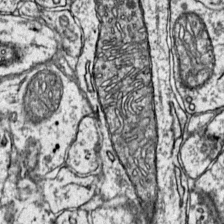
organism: Mouse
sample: Primary visual cortex